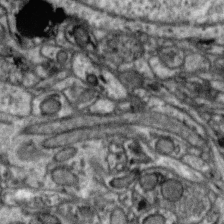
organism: Zebra finch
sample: Brain